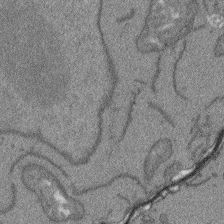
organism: Arabidopsis thaliana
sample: Root tip